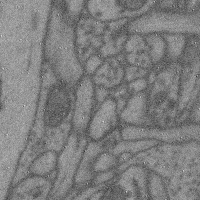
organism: Mouse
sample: Cerebral cortex